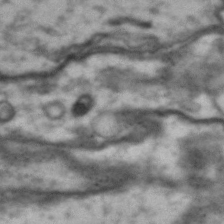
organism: Drosophila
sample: Brain